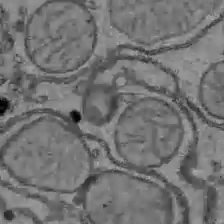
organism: C57BL Mouse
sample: Liver